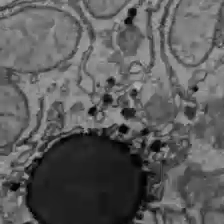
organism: C57BL Mouse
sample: Liver